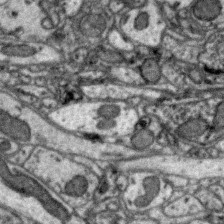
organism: Zebra finch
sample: Brain